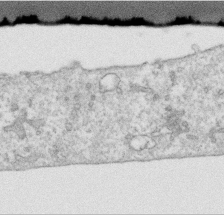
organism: Human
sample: Centriole in RPE cells